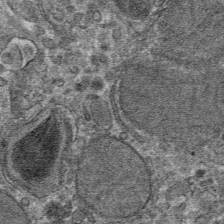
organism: Mouse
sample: Mouse hepatocytes